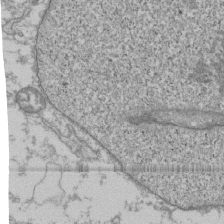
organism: Human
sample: Fibroblast cells